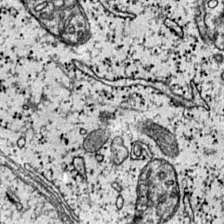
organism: Mouse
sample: Primary visual cortex